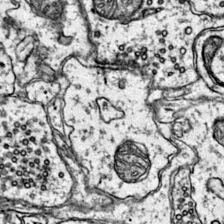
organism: Mouse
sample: Primary visual cortex